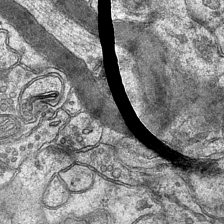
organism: Mouse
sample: CA1 Hippocampus